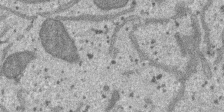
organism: Human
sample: Lung epithelial cells infected with SARS-CoV-2